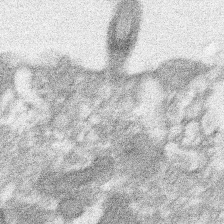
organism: Xenopus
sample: Cilia; centrioles in frog embryo cells